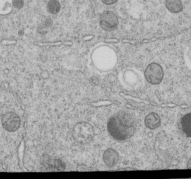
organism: C. elegans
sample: C. elegans embryo early stage